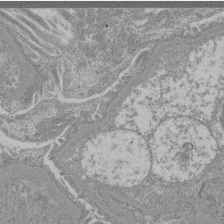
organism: Mouse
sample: Glomerulus